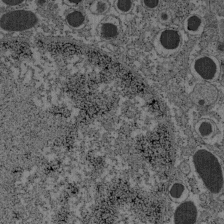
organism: C57BL Mouse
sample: Pancreatic islet